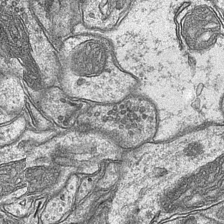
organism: Mouse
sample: CA1 Hippocampus